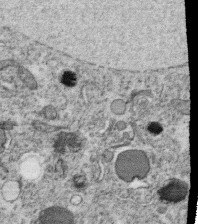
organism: C. elegans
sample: C. elegans oocyte; sperm cells